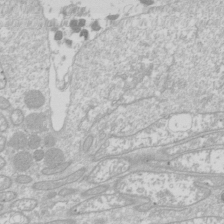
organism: Drosophila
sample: Cell division; meiosis; drosophila spermatocytes